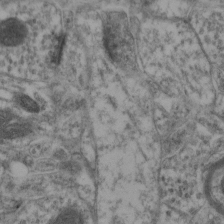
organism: Mouse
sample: Neocortex